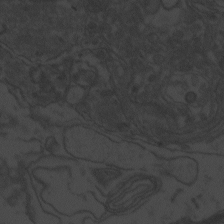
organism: Zebrafish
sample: Macrophage infected with Toxoplasma gondii